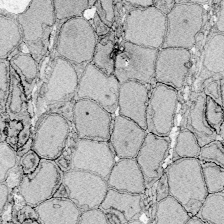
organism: Zebrafish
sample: Whole-Brain